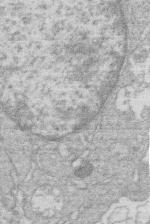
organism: Human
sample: Macrophage cells